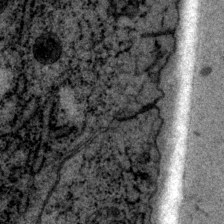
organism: P. pacificus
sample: Pharynx